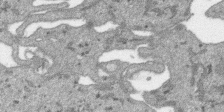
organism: Human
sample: Lung epithelial cells infected with SARS-CoV-2